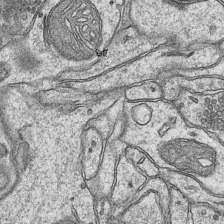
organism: Mouse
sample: CA1 Hippocampus